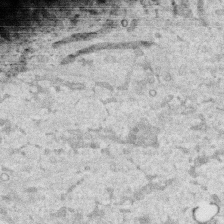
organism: Human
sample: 1205lu cells